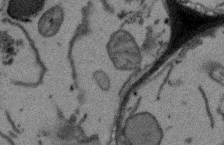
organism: Arabidopsis thaliana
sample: Root tip